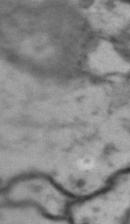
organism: Drosophila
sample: Brain